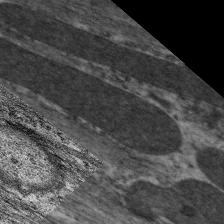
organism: C. elegans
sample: Pharynx